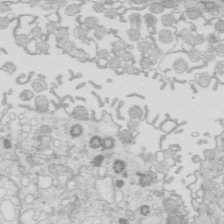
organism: Mouse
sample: Multiciliated cells